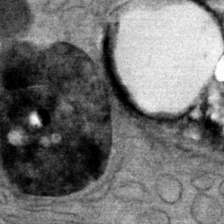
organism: Mouse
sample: Mouse Salivary gland